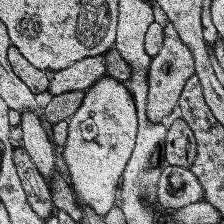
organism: Human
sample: Temporal Lobe